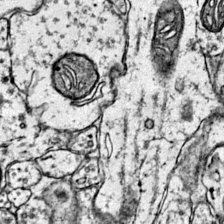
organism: Mouse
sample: Primary visual cortex